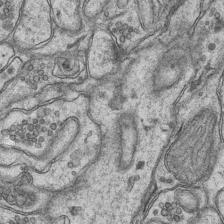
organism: Mouse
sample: CA1 Hippocampus